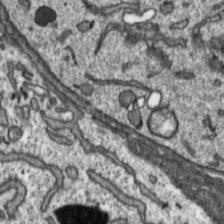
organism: Toxoplasma gondii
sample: Parasites in a vacuole inside a host cell